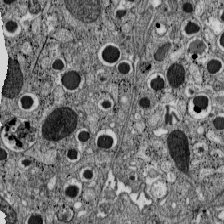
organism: C57BL Mouse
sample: Pancreatic islet